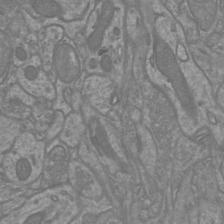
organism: Mouse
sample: Cortical neurons